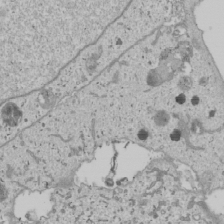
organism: Human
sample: Mitochondria in U2OS cells